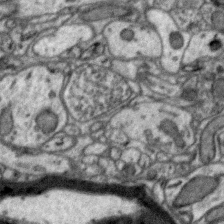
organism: Zebra finch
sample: Brain